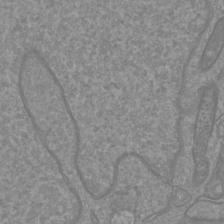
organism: Mouse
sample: Cortical neurons